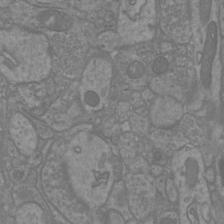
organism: Mouse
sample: Cortical neurons